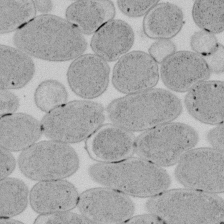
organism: E. coli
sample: Bacterial nucleoid